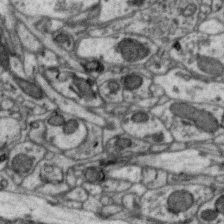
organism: Zebra finch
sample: Brain